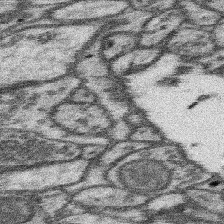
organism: Mouse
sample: Somatosensory cortex neuropil